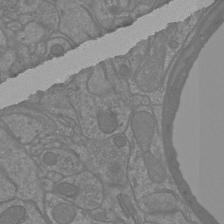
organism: Mouse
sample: Cortical neurons